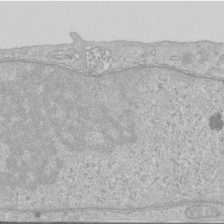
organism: Human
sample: Centriole in RPE cells